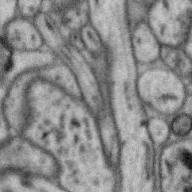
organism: Zebra finch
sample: Brain